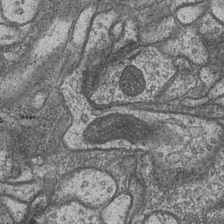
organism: Drosophila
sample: Optic medulla